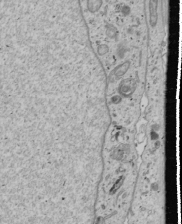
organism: Human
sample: Mitochondria in U2OS cells